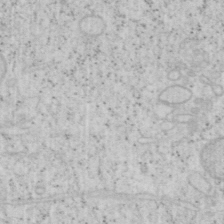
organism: Human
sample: HeLa cells